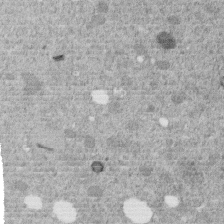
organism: C. elegans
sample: C. elegans embryo early stage